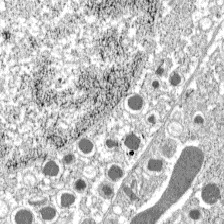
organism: C57BL Mouse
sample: Pancreatic islet